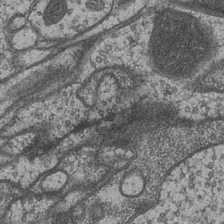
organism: Drosophila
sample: Optic medulla